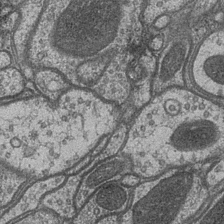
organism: Drosophila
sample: Optic medulla